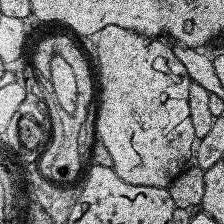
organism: Human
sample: Temporal Lobe